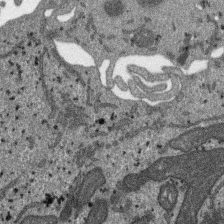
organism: Human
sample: Lung epithelial cells infected with SARS-CoV-2